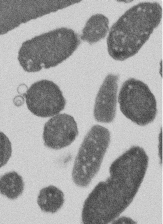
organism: E. coli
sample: Bacterial nucleoid